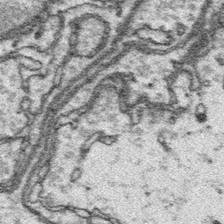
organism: Platynereis dumerilii